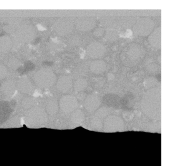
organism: C. elegans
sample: C. elegans oocyte; sperm cells